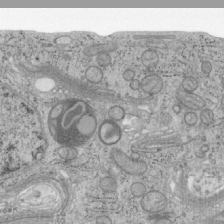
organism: Human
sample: HeLa cells